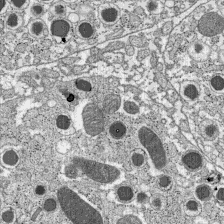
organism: C57BL Mouse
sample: Pancreatic islet